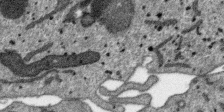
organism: Human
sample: Lung epithelial cells, uninfected (mock) control